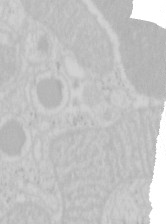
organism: Mouse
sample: Pancreas